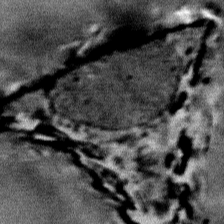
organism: Mouse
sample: Mouse Salivary gland